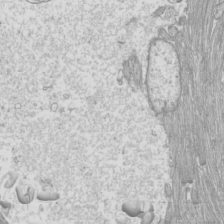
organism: Mouse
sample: Cilia; mouse epididymis